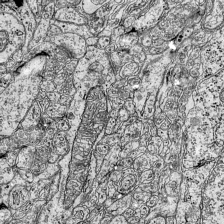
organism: Mouse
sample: Visual Cortex